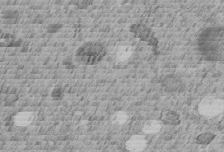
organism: C. elegans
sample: C. elegans embryo early stage